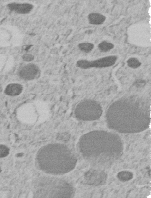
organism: C. elegans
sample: C. elegans embryo early stage